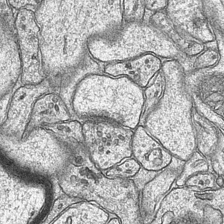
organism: Mouse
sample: CA1 Hippocampus